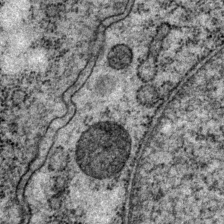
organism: P. pacificus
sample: Pharynx